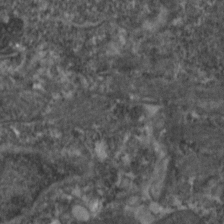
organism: Zebrafish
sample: Zebrafish embryo